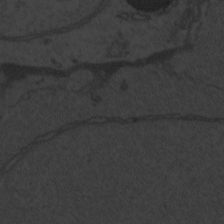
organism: Zebrafish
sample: Macrophage infected with Toxoplasma gondii